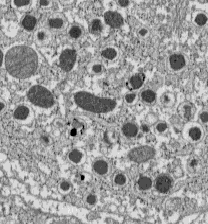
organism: C57BL Mouse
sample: Pancreatic islet